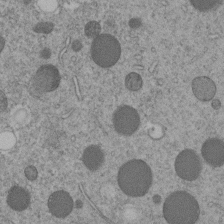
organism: C. elegans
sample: C. elegans embryo early stage